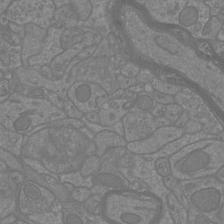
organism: Mouse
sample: Cortical neurons